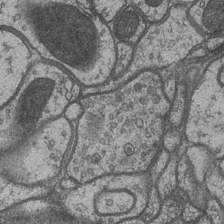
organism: Drosophila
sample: Optic medulla